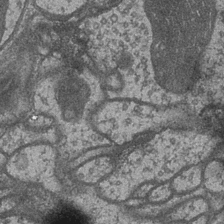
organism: Drosophila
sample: Optic medulla